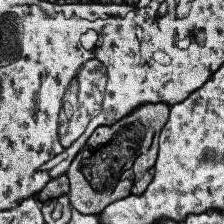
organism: Human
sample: Temporal Lobe